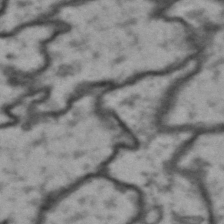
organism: Drosophila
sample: Brain